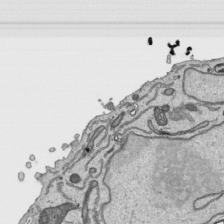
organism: Human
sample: Mitochondria in HCT116 cells